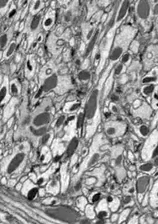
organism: Drosophila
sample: Optic lobe